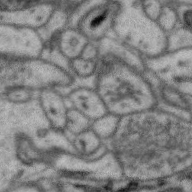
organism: Zebra finch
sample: Brain